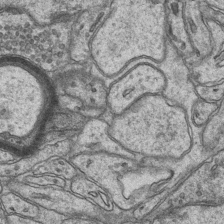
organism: Mouse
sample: CA1 Hippocampus